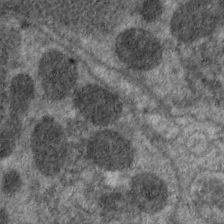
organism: C. elegans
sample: Pharynx